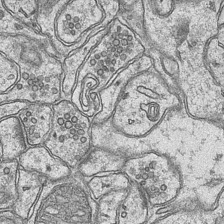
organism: Mouse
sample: CA1 Hippocampus